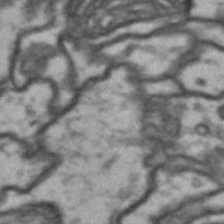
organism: Drosophila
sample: Brain